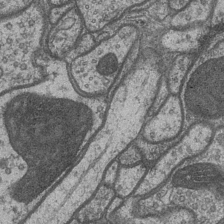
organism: Drosophila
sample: Optic medulla